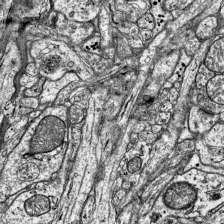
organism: Mouse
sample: Visual Cortex